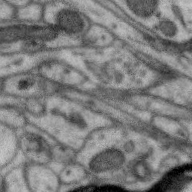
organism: Zebra finch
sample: Brain